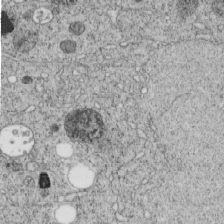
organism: C. elegans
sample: C. elegans embryo early stage